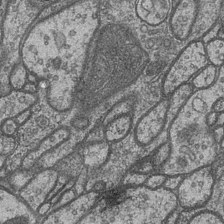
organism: Drosophila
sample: Optic medulla